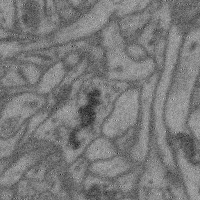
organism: Mouse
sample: Cerebral cortex